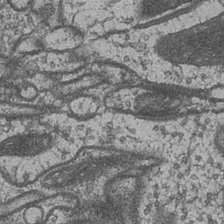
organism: Drosophila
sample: Optic medulla